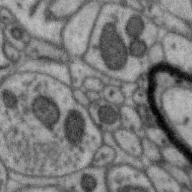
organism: Zebra finch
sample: Brain